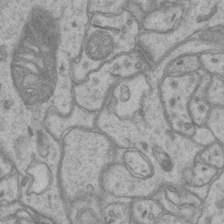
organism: Mouse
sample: CA1 Hippocampus